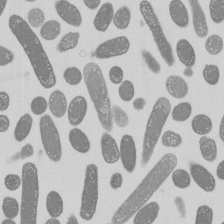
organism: E. coli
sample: Bacterial nucleoid